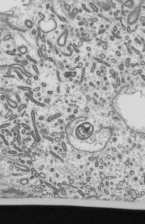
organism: Mouse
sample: Mouse epididymis efferent ductule cilia